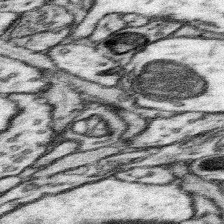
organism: Mouse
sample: Somatosensory cortex neuropil